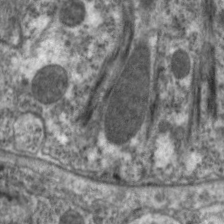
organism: C. elegans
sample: Pharynx